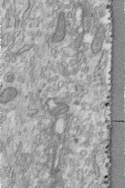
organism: Human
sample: Centriole in fibroblast cells